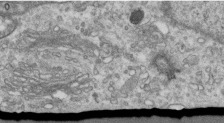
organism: Human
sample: Centriole in RPE cells